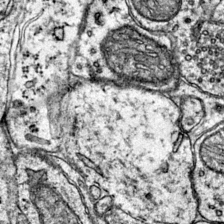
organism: Mouse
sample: Primary visual cortex